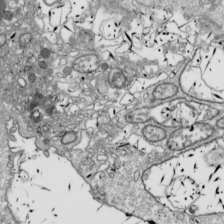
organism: Drosophila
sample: Cell division; meiosis; drosophila spermatocytes